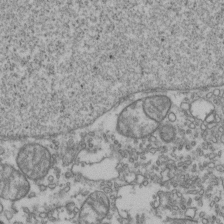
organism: Human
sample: Activated Jurkat CD4+ T cells